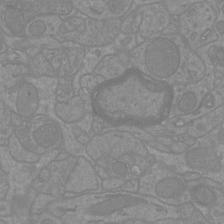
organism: Mouse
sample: Cortical neurons